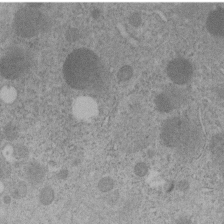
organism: C. elegans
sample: C. elegans embryo early stage